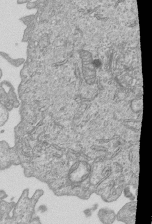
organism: Human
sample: MDA-MB-231 cells